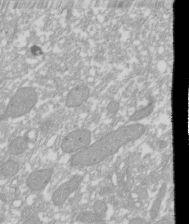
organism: Xenopus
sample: Cilia; centrioles in frog embryo cells